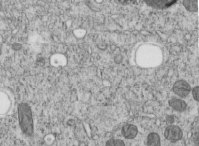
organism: C. elegans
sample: C. elegans embryo early stage